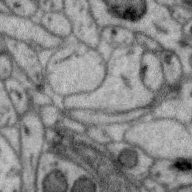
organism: Zebra finch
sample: Brain